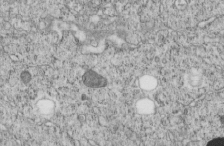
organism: C. elegans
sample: C. elegans embryo early stage